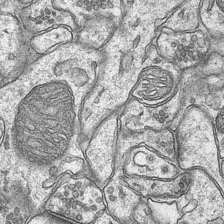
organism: Mouse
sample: CA1 Hippocampus